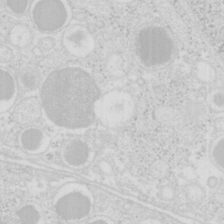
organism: Mouse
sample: Pancreas